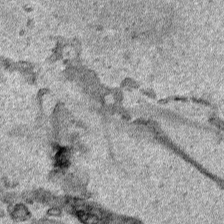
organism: Human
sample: Mitochondria in HCT116 cells